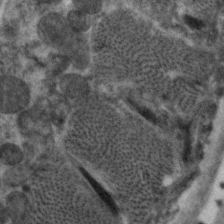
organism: C. elegans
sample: Pharynx